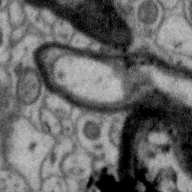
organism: Zebra finch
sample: Brain